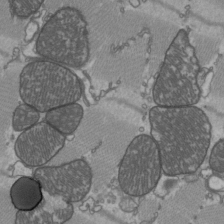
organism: C57BL Mouse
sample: Heart